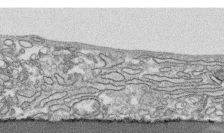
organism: Human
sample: CRL-1474